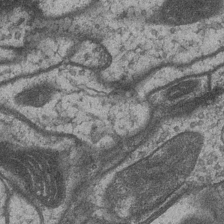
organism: Drosophila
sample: Optic medulla